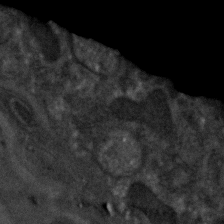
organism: C. elegans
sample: C. elegans embryo